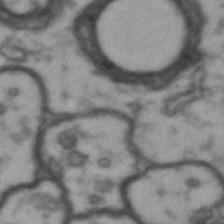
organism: Drosophila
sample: Brain